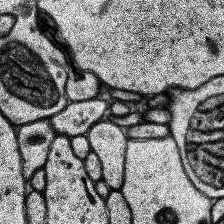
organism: Human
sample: Temporal Lobe